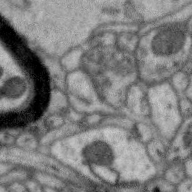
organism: Zebra finch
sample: Brain